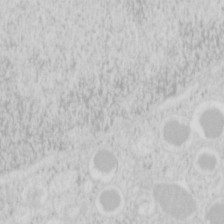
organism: Mouse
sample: Pancreas